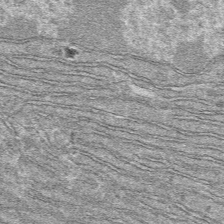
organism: Mouse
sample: Mouse hepatocytes